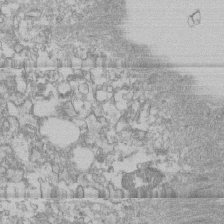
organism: Human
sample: CRL-1474